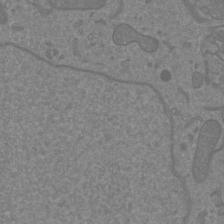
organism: Mouse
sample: Cortical neurons